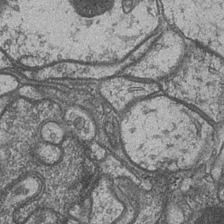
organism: Drosophila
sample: Optic medulla